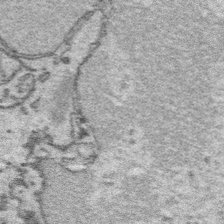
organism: Platynereis dumerilii